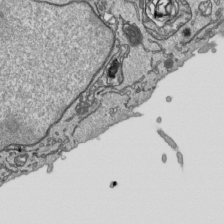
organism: Human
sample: Mitochondria in HCT116 cells